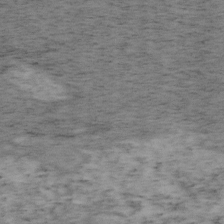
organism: Mouse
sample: OT-I killer T cells with ID8 ovarian cancer cells